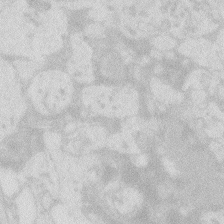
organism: Zebrafish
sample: Macrophage